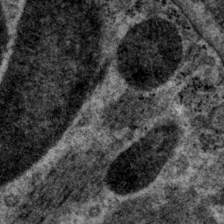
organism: P. pacificus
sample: Pharynx